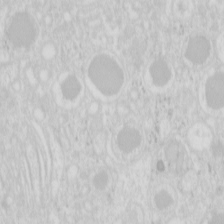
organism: Mouse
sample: Pancreas